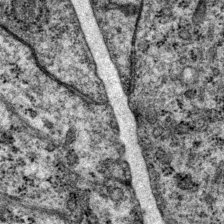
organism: P. pacificus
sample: Pharynx